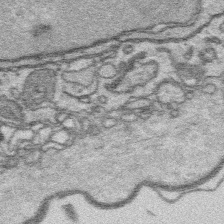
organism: Platynereis dumerilii